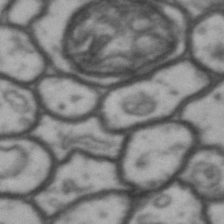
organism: Drosophila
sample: Brain